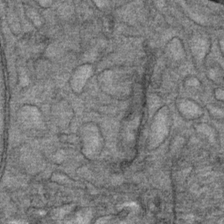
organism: Mouse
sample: Mouse Salivary gland